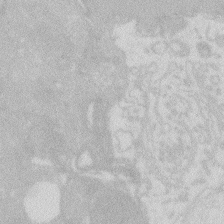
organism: Zebrafish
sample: Macrophage